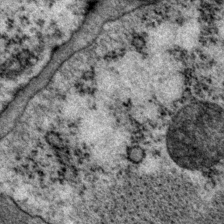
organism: P. pacificus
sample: Pharynx